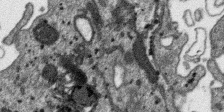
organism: Human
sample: Lung epithelial cells infected with SARS-CoV-2